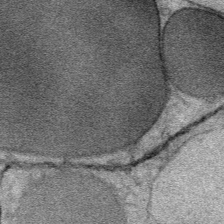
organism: Mouse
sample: Mouse Salivary gland